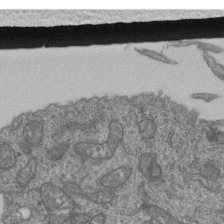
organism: Human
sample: Retinal organoid Rod and Cone cells